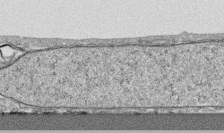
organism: Human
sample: CRL-1474